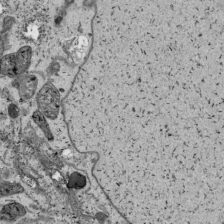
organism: Human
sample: Mitochondria in HCT116 cells